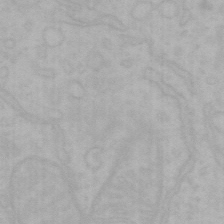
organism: Mouse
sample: Choroid plexus